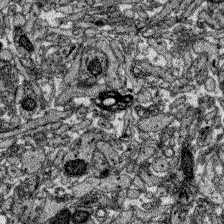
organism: Zebrafish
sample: Larval olfactory bulb